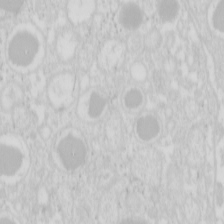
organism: Mouse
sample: Pancreas